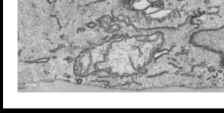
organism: Human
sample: Mitochondria in HCT116 cells